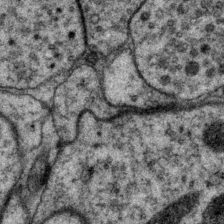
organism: P. pacificus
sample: Pharynx